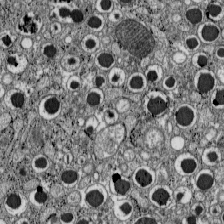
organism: C57BL Mouse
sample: Pancreatic islet